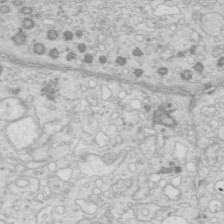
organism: Mouse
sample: Multiciliated cells